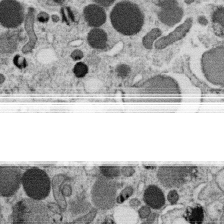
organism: C. elegans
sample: C. elegans oocyte; sperm cells